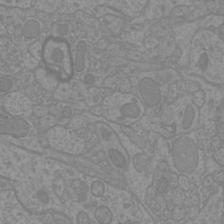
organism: Mouse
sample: Cortical neurons